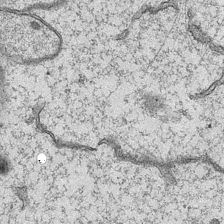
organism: Mouse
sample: CA1 Hippocampus